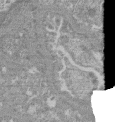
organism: Mouse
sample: Glomerulus